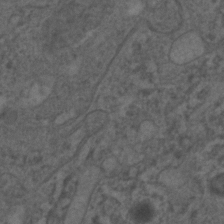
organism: C. elegans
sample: C. elegans embryo